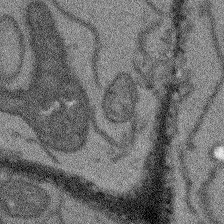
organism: Arabidopsis thaliana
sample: Root tip